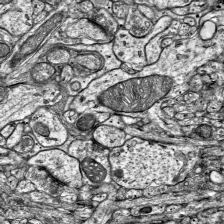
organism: Mouse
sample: Visual Cortex